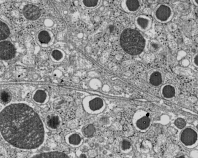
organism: C57BL Mouse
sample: Pancreatic islet